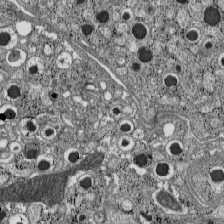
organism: C57BL Mouse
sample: Pancreatic islet